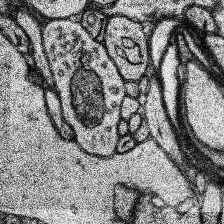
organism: Human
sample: Temporal Lobe